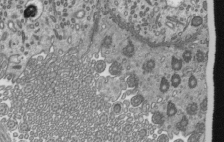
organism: Mouse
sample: Mouse epididymis efferent ductule cilia